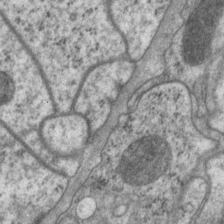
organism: P. pacificus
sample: Pharynx